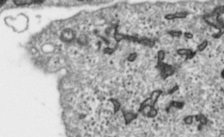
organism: Toxoplasma gondii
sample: Parasites in a vacuole inside a host cell